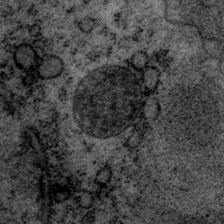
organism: P. pacificus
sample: Pharynx